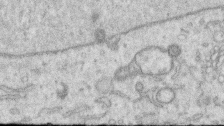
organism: Human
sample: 1205lu cells